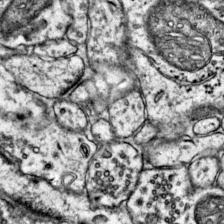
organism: Mouse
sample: Primary visual cortex